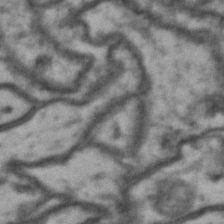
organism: Drosophila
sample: Brain